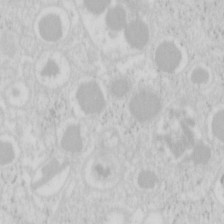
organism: Mouse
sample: Pancreas